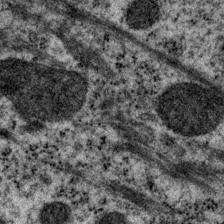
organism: P. pacificus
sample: Pharynx